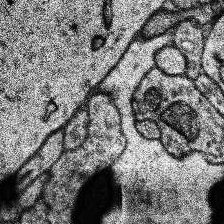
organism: Human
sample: Temporal Lobe